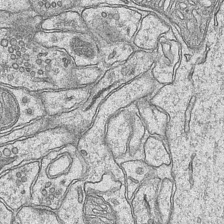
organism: Mouse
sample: CA1 Hippocampus